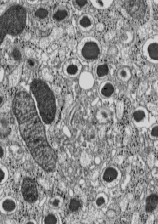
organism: C57BL Mouse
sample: Pancreatic islet